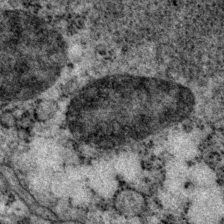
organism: P. pacificus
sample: Pharynx